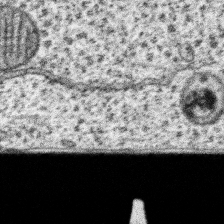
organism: Human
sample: HeLa cells